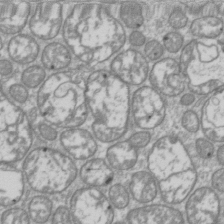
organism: Drosophila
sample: Cell division; meiosis; drosophila spermatocytes